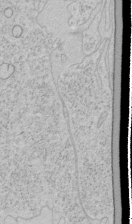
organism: Human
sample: Mitochondria in HCT116 cells